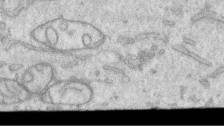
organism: Human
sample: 1205lu cells